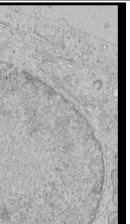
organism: Human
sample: Mitochondria in HCT116 cells